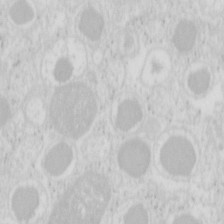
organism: Mouse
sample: Pancreas